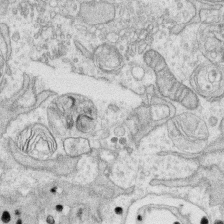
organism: Human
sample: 1205lu cells